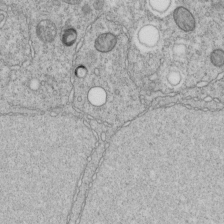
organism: C. elegans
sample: C. elegans embryo early stage